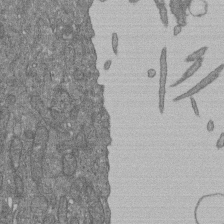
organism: Human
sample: Retinal organoid Rod and Cone cells